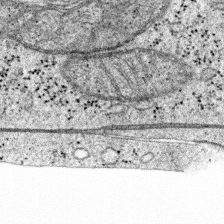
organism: Human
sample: HeLa cells